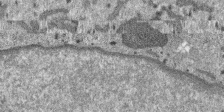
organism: Human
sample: Lung epithelial cells infected with SARS-CoV-2